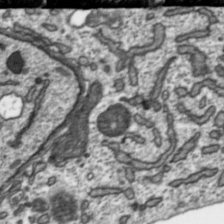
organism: Toxoplasma gondii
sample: Parasites in a vacuole inside a host cell